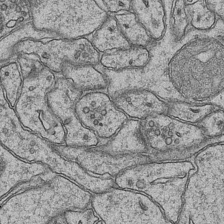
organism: Mouse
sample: CA1 Hippocampus